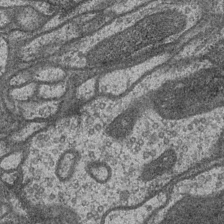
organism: Drosophila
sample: Optic medulla